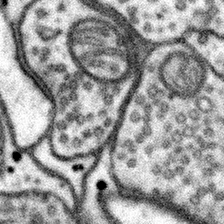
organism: Mouse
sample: Somatosensory cortex neuropil